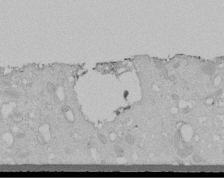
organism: Human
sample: Melanocyte Keratinocyte synapse skin construct